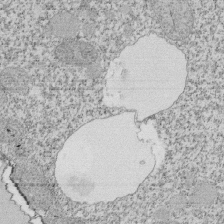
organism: Tetrahymena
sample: Cilia in tetrahymena